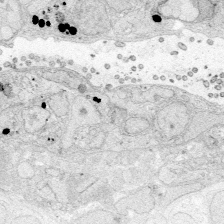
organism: Zebrafish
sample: Whole-Brain